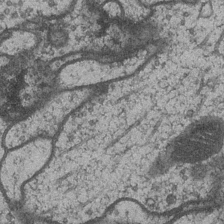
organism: Drosophila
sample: Optic medulla